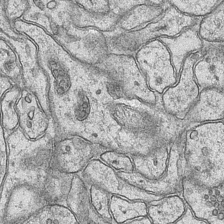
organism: Mouse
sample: CA1 Hippocampus